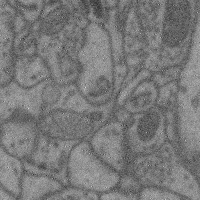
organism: Mouse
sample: Cerebral cortex